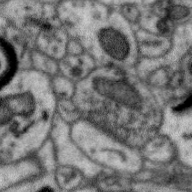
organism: Zebra finch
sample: Brain